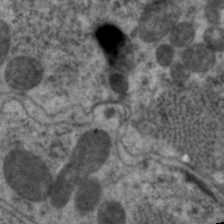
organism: C. elegans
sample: Pharynx